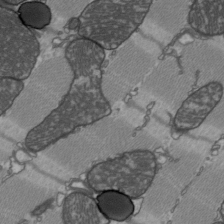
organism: C57BL Mouse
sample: Heart